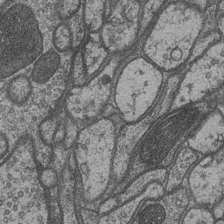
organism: Drosophila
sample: Optic medulla